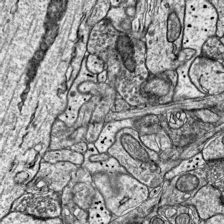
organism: Mouse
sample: Visual Cortex